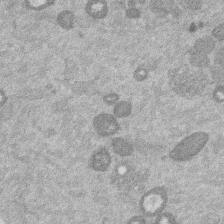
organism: Mouse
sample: Dividing mouse embryo 1 cell stage